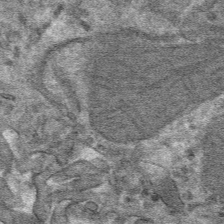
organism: Mouse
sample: Mouse hepatocytes